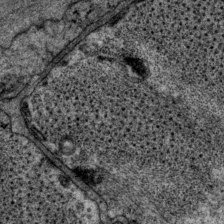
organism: P. pacificus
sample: Pharynx